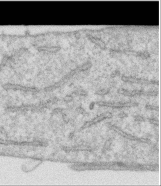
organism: Human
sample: Centriole in RPE cells